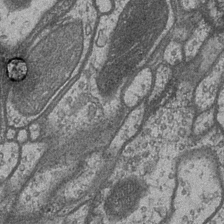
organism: Drosophila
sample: Optic medulla